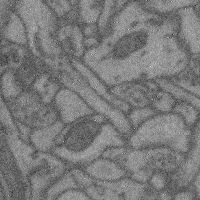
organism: Mouse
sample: Cerebral cortex